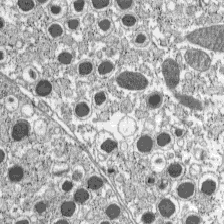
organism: C57BL Mouse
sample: Pancreatic islet